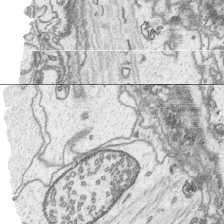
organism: Platynereis dumerilii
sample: Parapodia